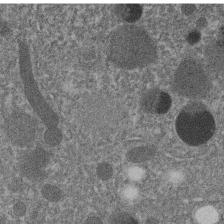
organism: C. elegans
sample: C. elegans embryo early stage